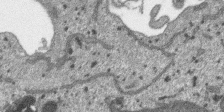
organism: Human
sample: Lung epithelial cells infected with SARS-CoV-2